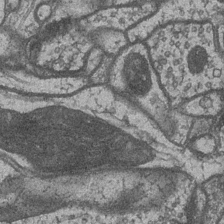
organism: Drosophila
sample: Optic medulla